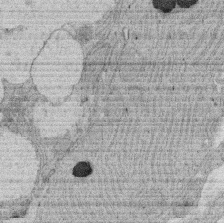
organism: Rat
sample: Salivary granule